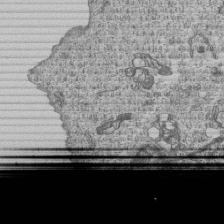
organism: Human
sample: MDA-MB-231 cells